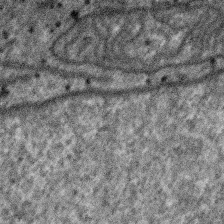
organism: Human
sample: Lung epithelial cells infected with SARS-CoV-2